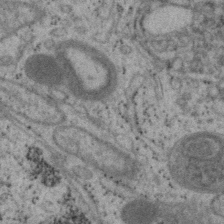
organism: Human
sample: HeLa cells